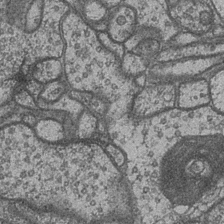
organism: Drosophila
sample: Optic medulla